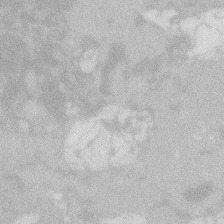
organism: Zebrafish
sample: Macrophage